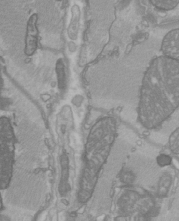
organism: C57BL Mouse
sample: Heart